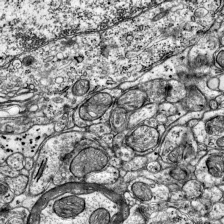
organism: Mouse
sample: Visual Cortex